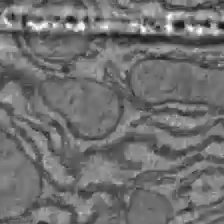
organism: C57BL Mouse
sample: Liver